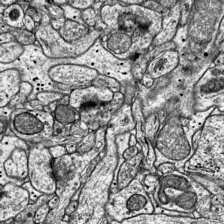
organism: Mouse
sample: Visual Cortex